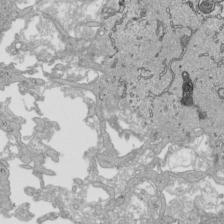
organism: Human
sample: Mitochondria in HCT116 cells